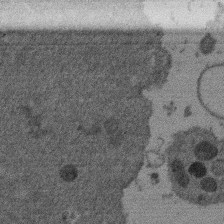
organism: Mouse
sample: Dividing mouse embryo 1 cell stage